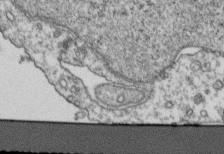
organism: Human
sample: Activated Jurkat CD4+ T cells